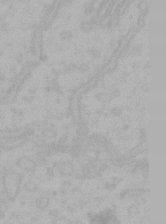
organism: Mouse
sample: Choroid plexus